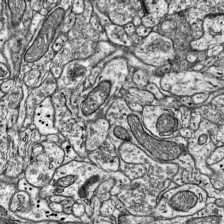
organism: Mouse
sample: Visual Cortex